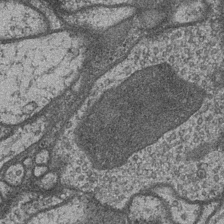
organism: Drosophila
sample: Optic medulla